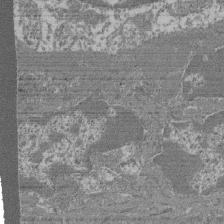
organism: Mouse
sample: Glomerulus